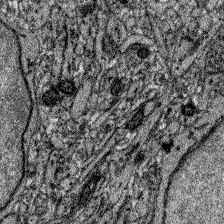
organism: Zebrafish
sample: Larval olfactory bulb